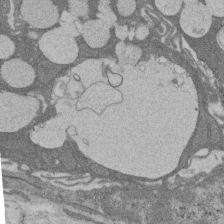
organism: Rat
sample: Salivary granule